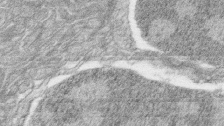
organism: Zebrafish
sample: synaptic ribbons in rod cells and cone cells